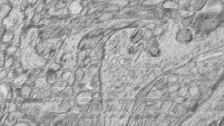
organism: Zebrafish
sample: synaptic ribbons in rod cells and cone cells